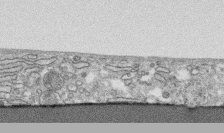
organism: Human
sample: CRL-1474